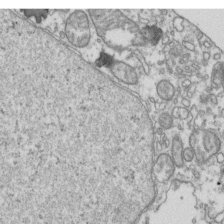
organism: Human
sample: Activated Jurkat CD4+ T cells